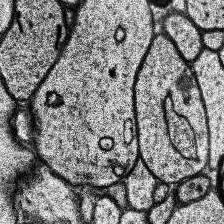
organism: Human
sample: Temporal Lobe